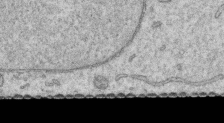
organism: Human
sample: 1205lu cells